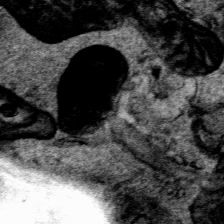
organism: Human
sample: Mitochondria in HCT116 cells